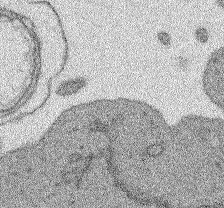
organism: Human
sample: HeLa cells